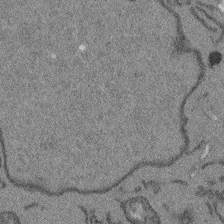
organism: Arabidopsis thaliana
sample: Root tip